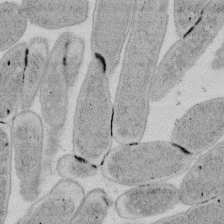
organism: E. coli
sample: Bacterial nucleoid